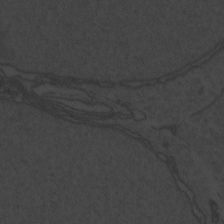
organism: Zebrafish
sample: Macrophage infected with Toxoplasma gondii